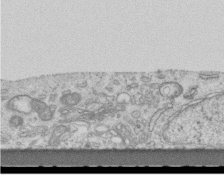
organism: Mouse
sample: Centriole in ependymal cells